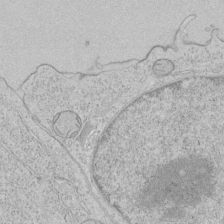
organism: Human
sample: Mitochondria in HCT116 cells